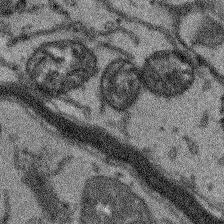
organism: Arabidopsis thaliana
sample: Root tip